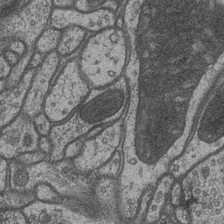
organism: Drosophila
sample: Optic medulla